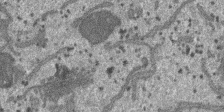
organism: Human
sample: Lung epithelial cells infected with SARS-CoV-2